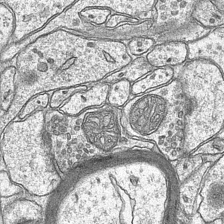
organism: Mouse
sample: CA1 Hippocampus